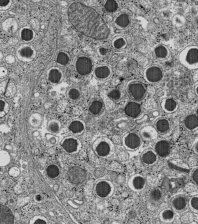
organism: C57BL Mouse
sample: Pancreatic islet